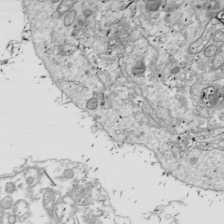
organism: Drosophila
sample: Cell division; meiosis; drosophila spermatocytes